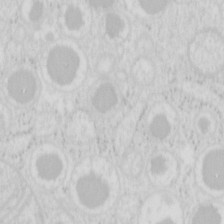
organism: Mouse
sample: Pancreas